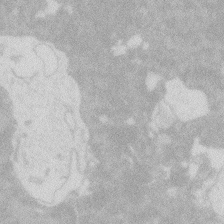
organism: Zebrafish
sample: Macrophage